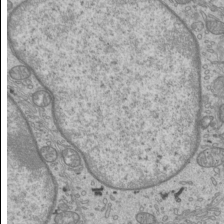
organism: Mouse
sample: Cilia; mouse epididymis